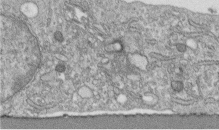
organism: Human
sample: Centriole in fibroblast cells